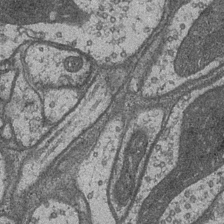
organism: Drosophila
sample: Optic medulla